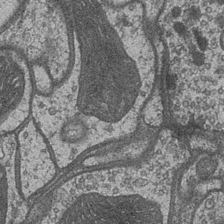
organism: Drosophila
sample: Optic medulla